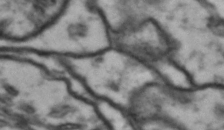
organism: Drosophila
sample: Brain